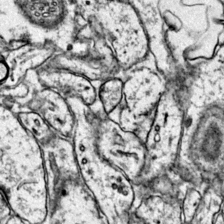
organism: Mouse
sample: Primary visual cortex